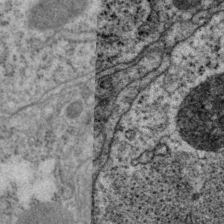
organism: P. pacificus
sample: Pharynx